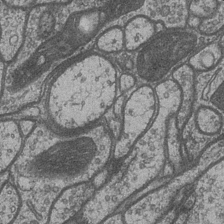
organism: Drosophila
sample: Optic medulla